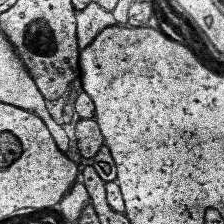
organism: Human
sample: Temporal Lobe